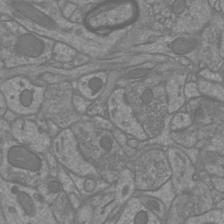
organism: Mouse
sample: Cortical neurons